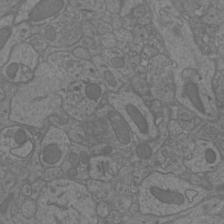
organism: Mouse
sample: Cortical neurons